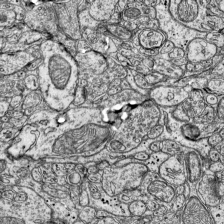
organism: Mouse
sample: Visual Cortex